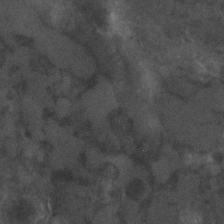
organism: C. elegans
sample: C. elegans embryo